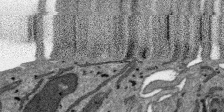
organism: Human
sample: Lung epithelial cells, uninfected (mock) control